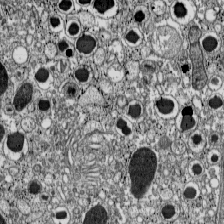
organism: C57BL Mouse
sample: Pancreatic islet